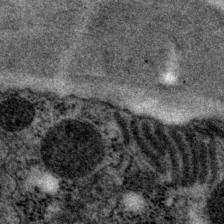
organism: P. pacificus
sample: Pharynx